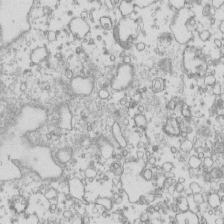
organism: Mouse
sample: Macrophages